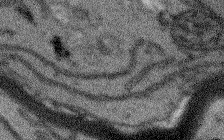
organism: Arabidopsis thaliana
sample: Root tip